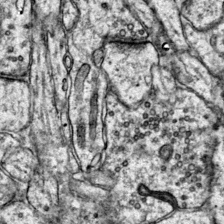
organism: Mouse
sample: Primary visual cortex